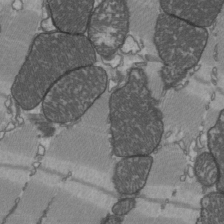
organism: C57BL Mouse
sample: Heart